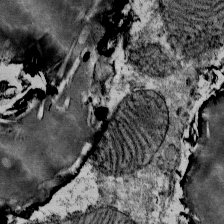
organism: Mouse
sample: Mouse Salivary gland